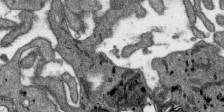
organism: Human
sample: Lung epithelial cells, uninfected (mock) control